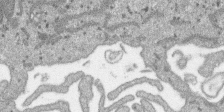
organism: Human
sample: Lung epithelial cells infected with SARS-CoV-2